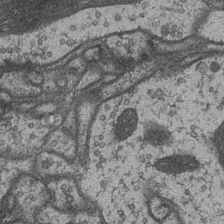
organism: Drosophila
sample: Optic medulla